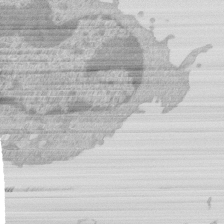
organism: Mouse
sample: Activated Pmel transgenic CD8+ T Cells